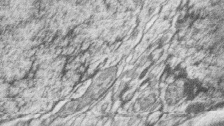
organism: Zebrafish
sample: synaptic ribbons in rod cells and cone cells